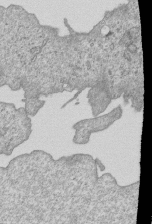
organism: Human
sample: MDA-MB-231 cells